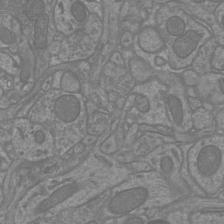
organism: Mouse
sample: Cortical neurons